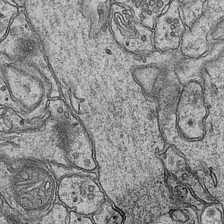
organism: Mouse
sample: CA1 Hippocampus